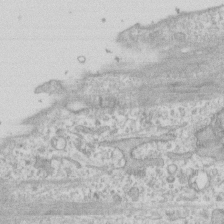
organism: Human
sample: Fibroblast cells